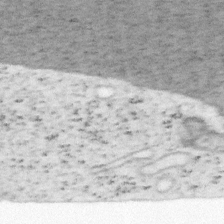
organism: Mouse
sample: OT-I killer T cells with ID8 ovarian cancer cells